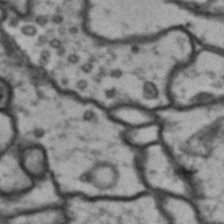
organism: Drosophila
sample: Brain